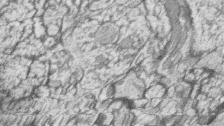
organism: Zebrafish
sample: synaptic ribbons in rod cells and cone cells